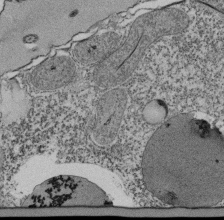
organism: Tetrahymena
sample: Cilia in tetrahymena